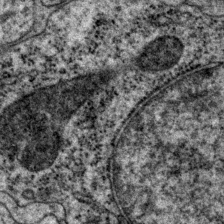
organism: P. pacificus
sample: Pharynx